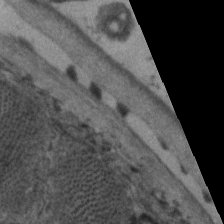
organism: C. elegans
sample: Pharynx